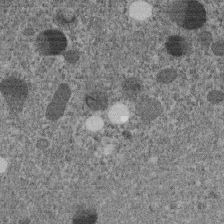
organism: C. elegans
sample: C. elegans embryo early stage